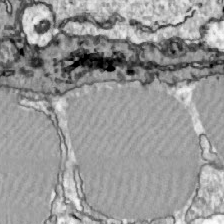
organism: Zebrafish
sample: Actinotrichia fibers